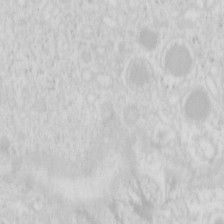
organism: Mouse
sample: Pancreas